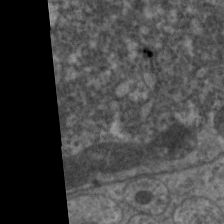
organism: C. elegans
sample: Pharynx